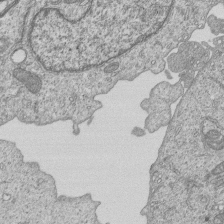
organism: Human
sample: MDA-MB-231 cells